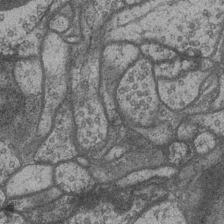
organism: Drosophila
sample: Optic medulla